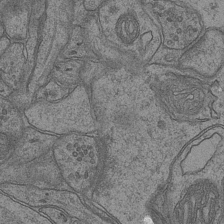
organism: Mouse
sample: CA1 Hippocampus